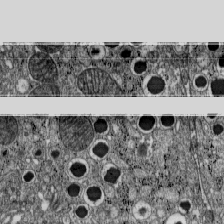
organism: C57BL Mouse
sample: Pancreatic islet